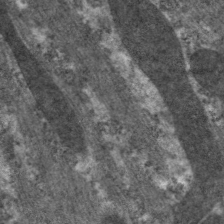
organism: C. elegans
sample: Pharynx